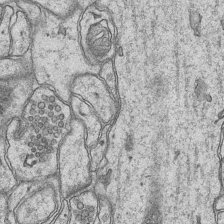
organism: Mouse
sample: CA1 Hippocampus